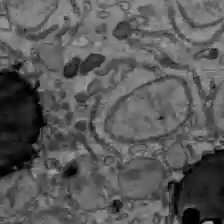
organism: C57BL Mouse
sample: Liver